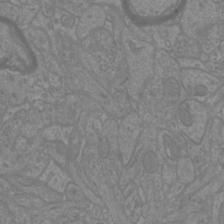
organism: Mouse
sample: Cortical neurons